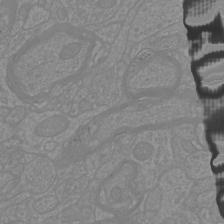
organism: Mouse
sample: Cortical neurons